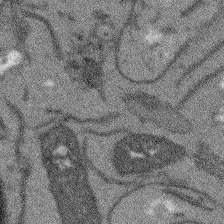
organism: Arabidopsis thaliana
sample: Root tip